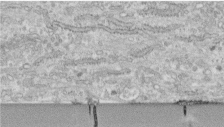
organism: Human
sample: Centriole in fibroblast cells